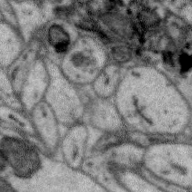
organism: Zebra finch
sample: Brain